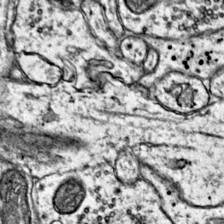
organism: Mouse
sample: Primary visual cortex